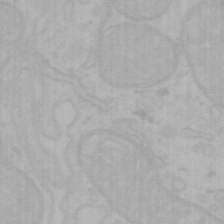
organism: Mouse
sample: Choroid plexus